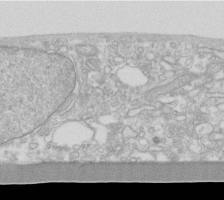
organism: Human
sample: Fibroblast cells